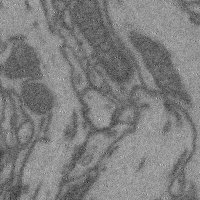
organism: Mouse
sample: Cerebral cortex